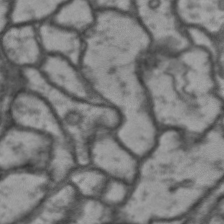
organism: Drosophila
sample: Brain